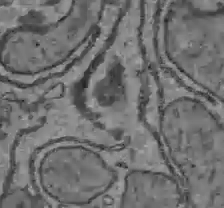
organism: C57BL Mouse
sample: Liver